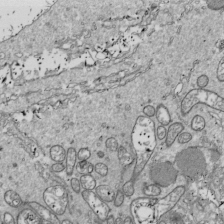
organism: Drosophila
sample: Cell division; meiosis; drosophila spermatocytes